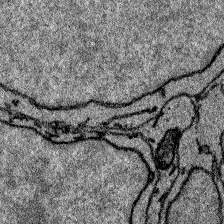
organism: Zebrafish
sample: Larval olfactory bulb